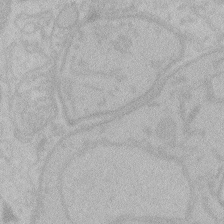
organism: Zebrafish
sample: Macrophage infected with Toxoplasma gondii